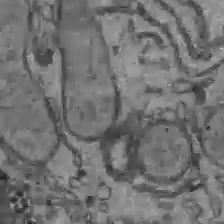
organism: C57BL Mouse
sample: Liver